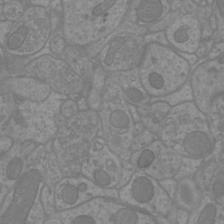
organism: Mouse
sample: Cortical neurons